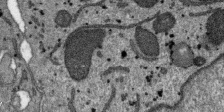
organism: Human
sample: Lung epithelial cells, uninfected (mock) control